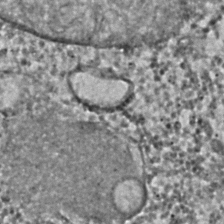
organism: C. elegans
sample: C. elegans embryo